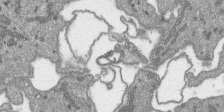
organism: Human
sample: Lung epithelial cells infected with SARS-CoV-2